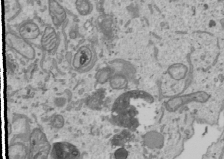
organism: Human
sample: Mitochondria in U2OS cells